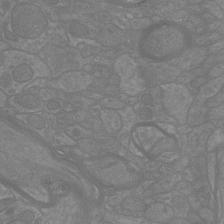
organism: Mouse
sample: Cortical neurons